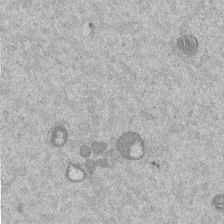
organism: Mouse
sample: Dividing mouse embryo 1 cell stage